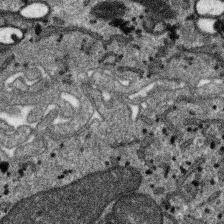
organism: Human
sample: Lung epithelial cells infected with SARS-CoV-2